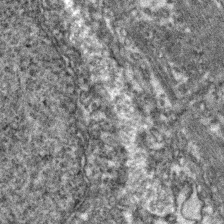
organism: Zebrafish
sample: Zebrafish embryo